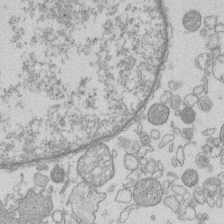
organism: Human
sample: Macrophage cells